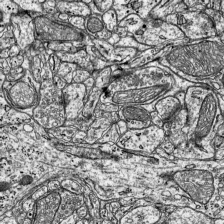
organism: Mouse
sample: Visual Cortex